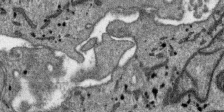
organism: Human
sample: Lung epithelial cells, uninfected (mock) control